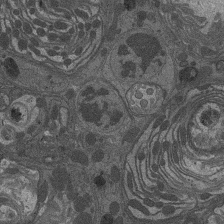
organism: Drosophila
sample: Antenna